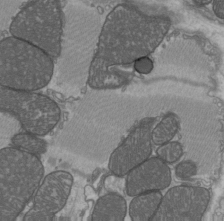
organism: C57BL Mouse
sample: Heart